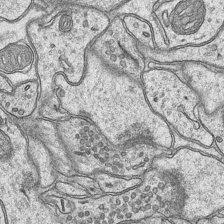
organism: Mouse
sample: CA1 Hippocampus